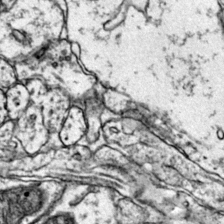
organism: Mouse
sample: Primary visual cortex